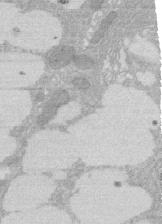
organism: Rat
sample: Salivary granule